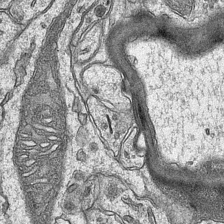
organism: Mouse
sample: CA1 Hippocampus